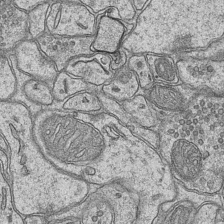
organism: Mouse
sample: CA1 Hippocampus